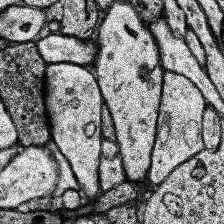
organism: Human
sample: Temporal Lobe